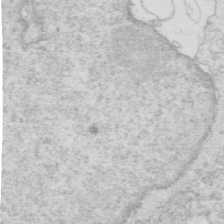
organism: Mouse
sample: Multiciliated cells